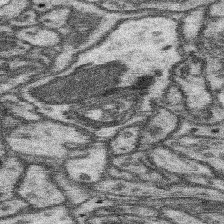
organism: Mouse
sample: Somatosensory cortex neuropil